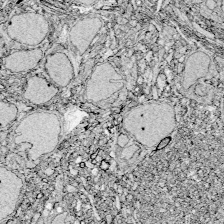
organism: Zebrafish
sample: Whole-Brain